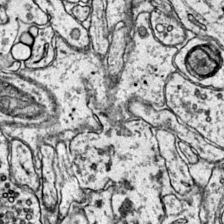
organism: Mouse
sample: Primary visual cortex